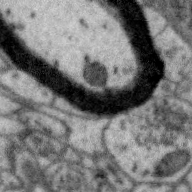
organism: Zebra finch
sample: Brain